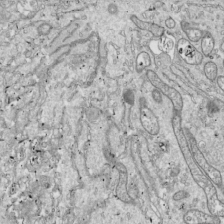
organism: Drosophila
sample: Cell division; meiosis; drosophila spermatocytes